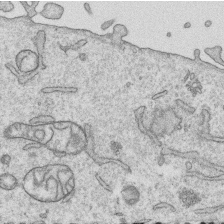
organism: Human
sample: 1205lu cells